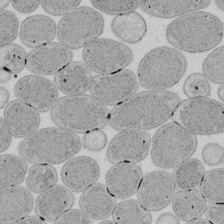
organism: E. coli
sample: Bacterial nucleoid